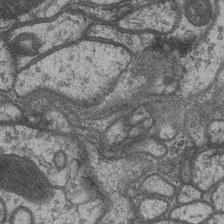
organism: Drosophila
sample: Optic medulla